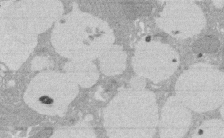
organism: Rat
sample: Salivary granule